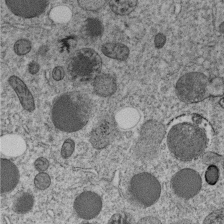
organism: C. elegans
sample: C. elegans embryo early stage